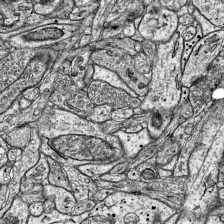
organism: Mouse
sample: Visual Cortex